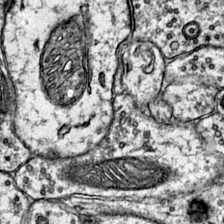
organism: Mouse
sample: Primary visual cortex